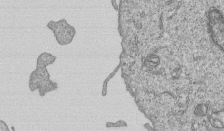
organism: Human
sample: MDA-MB-231 cells